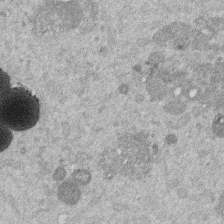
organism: Mouse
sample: Dividing mouse embryo 1 cell stage